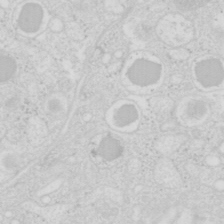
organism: Mouse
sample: Pancreas